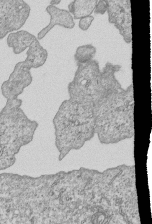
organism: Human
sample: MDA-MB-231 cells